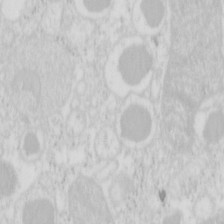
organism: Mouse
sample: Pancreas